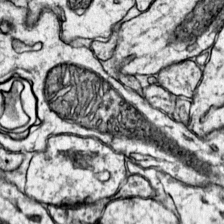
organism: Mouse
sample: Primary visual cortex